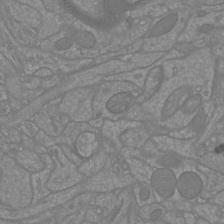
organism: Mouse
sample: Cortical neurons